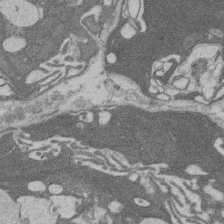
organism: Rat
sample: Salivary granule